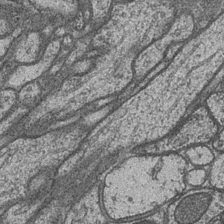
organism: Drosophila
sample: Optic medulla